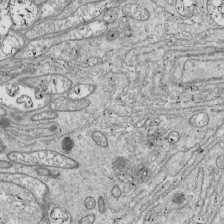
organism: Drosophila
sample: Cell division; meiosis; drosophila spermatocytes